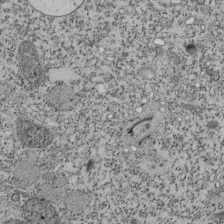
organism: Tetrahymena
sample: Cilia in tetrahymena